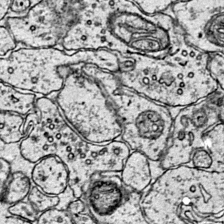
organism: Mouse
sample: Primary visual cortex